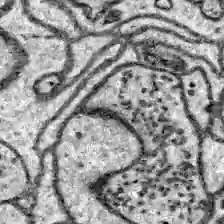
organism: Zebrafish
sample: Brain